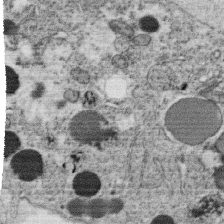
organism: C. elegans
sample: C. elegans oocyte; sperm cells